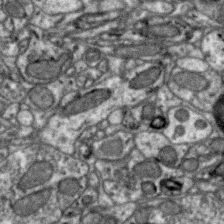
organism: Zebra finch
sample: Brain